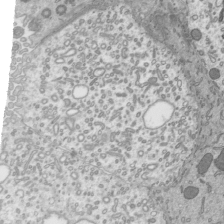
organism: Mouse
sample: Mouse epididymis efferent ductule cilia